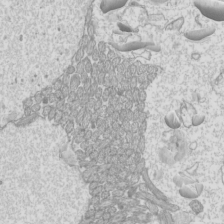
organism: Mouse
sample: Cilia; mouse epididymis